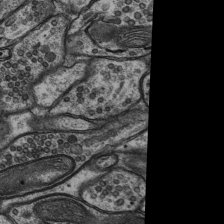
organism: Rat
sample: Hippocampus